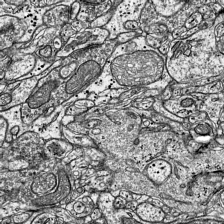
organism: Mouse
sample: Visual Cortex